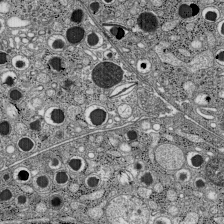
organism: C57BL Mouse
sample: Pancreatic islet